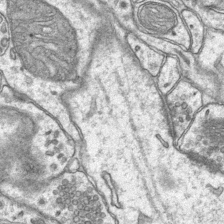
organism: Mouse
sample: CA1 Hippocampus